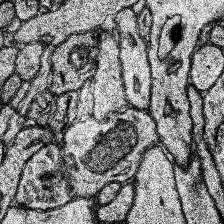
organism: Human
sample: Temporal Lobe